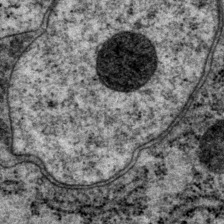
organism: P. pacificus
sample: Pharynx